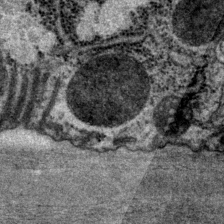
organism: P. pacificus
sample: Pharynx